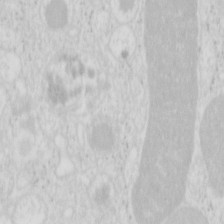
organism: Mouse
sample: Pancreas